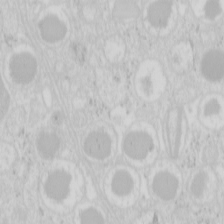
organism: Mouse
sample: Pancreas